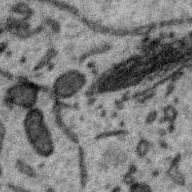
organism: Zebra finch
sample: Brain